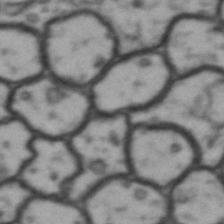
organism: Drosophila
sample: Brain